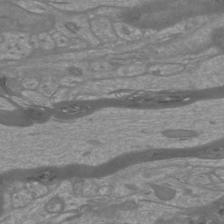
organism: Mouse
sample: Cortical neurons